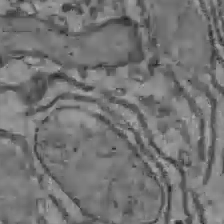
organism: C57BL Mouse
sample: Liver